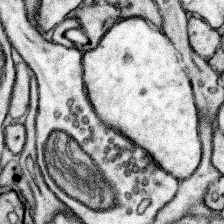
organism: Mouse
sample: Somatosensory cortex neuropil